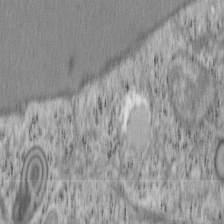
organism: Human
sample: HeLa cells